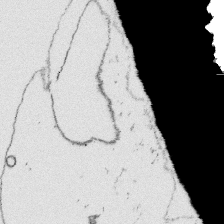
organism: Platynereis dumerilii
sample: Parapodia